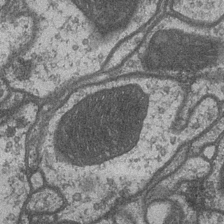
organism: Drosophila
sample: Optic medulla